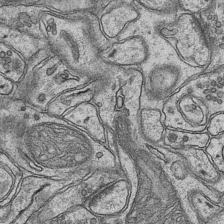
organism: Mouse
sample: CA1 Hippocampus